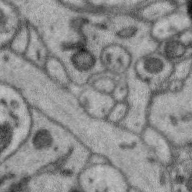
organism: Zebra finch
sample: Brain